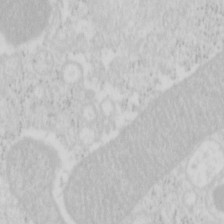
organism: Mouse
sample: Pancreas